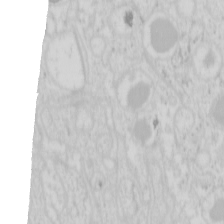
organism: Mouse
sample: Pancreas